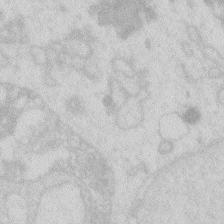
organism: Zebrafish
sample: Macrophage